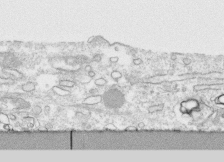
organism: Human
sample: CRL-1474